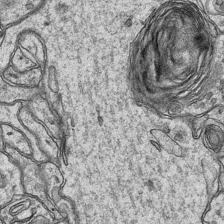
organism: Mouse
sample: CA1 Hippocampus